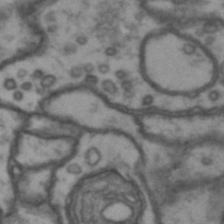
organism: Drosophila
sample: Brain